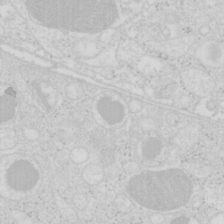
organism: Mouse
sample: Pancreas